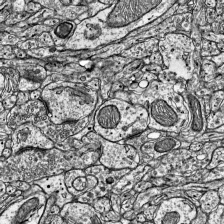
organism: Mouse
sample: Visual Cortex